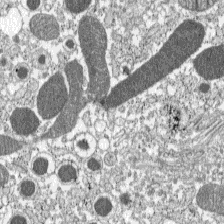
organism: C57BL Mouse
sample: Pancreatic islet